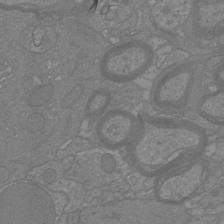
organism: Mouse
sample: Cortical neurons